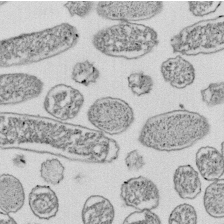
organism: E. coli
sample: Bacterial nucleoid